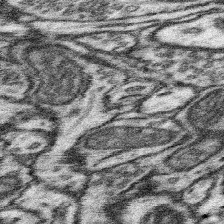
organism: Mouse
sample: Somatosensory cortex neuropil